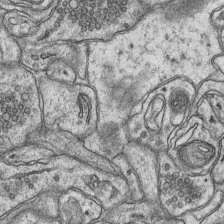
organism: Mouse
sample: CA1 Hippocampus